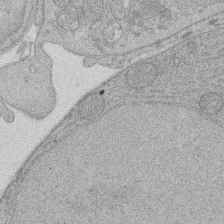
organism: Rat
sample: Salivary granule